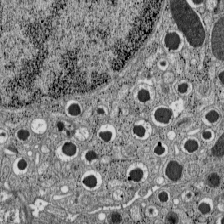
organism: C57BL Mouse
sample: Pancreatic islet